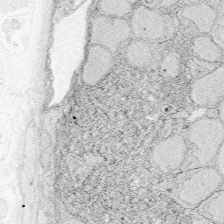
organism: Zebrafish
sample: Whole-Brain